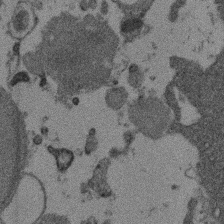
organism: Mouse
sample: Dividing mouse embryo 1 cell stage